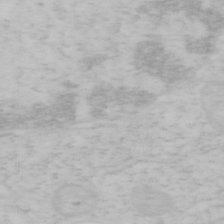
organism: Mouse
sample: OT-I killer T cells with ID8 ovarian cancer cells